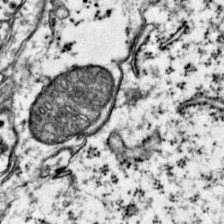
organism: Mouse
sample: Primary visual cortex